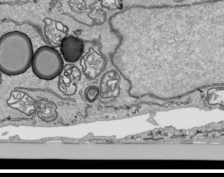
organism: Human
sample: Mitochondria in HCT116 cells